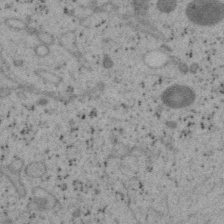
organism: Human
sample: HeLa cells